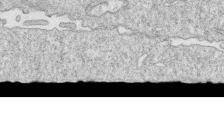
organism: Human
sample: HeLa cell HIV synapse